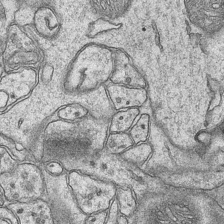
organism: Mouse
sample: CA1 Hippocampus